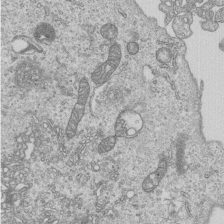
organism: Human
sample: MDA-MB-231 cells